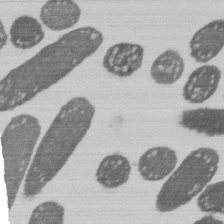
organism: E. coli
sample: Bacterial nucleoid